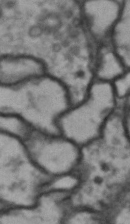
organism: Drosophila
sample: Brain